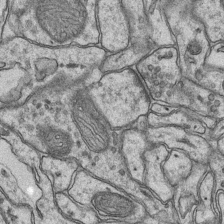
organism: Mouse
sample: CA1 Hippocampus